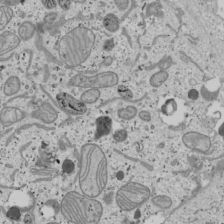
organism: Human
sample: Mitochondria in U2OS cells